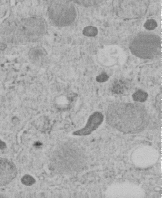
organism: C. elegans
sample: C. elegans embryo early stage